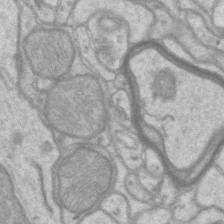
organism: Mouse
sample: CA1 Hippocampus